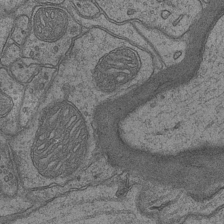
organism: Mouse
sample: CA1 Hippocampus